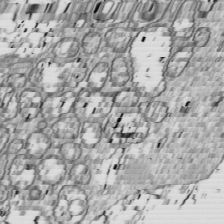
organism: Drosophila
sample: Cell division; meiosis; drosophila spermatocytes